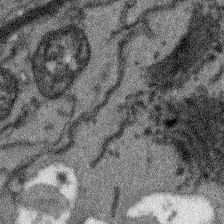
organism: Arabidopsis thaliana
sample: Root tip